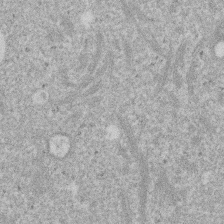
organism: Mouse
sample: Dividing mouse embryo 1 cell stage